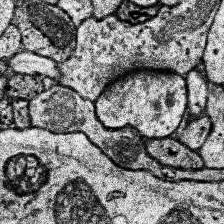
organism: Human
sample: Temporal Lobe